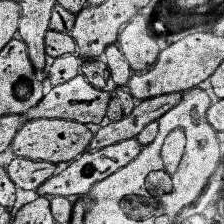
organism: Human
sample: Temporal Lobe